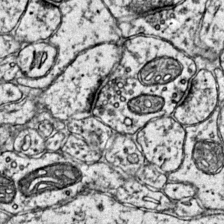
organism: Mouse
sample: Primary visual cortex